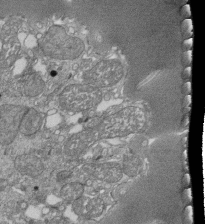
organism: Tetrahymena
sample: Cilia in tetrahymena